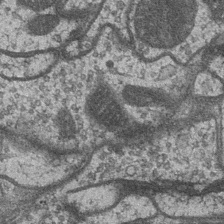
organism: Drosophila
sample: Optic medulla